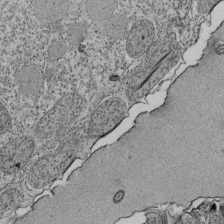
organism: Tetrahymena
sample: Cilia in tetrahymena